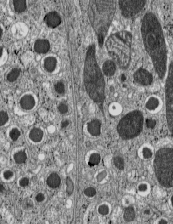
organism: C57BL Mouse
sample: Pancreatic islet